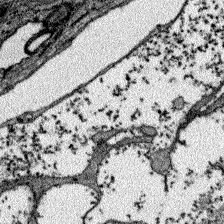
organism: Zebrafish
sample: Larval olfactory bulb